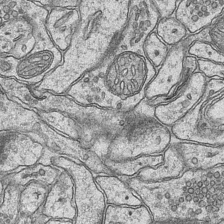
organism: Mouse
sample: CA1 Hippocampus